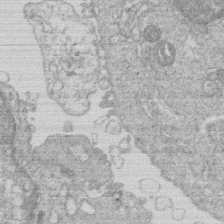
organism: Human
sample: Macrophage cells